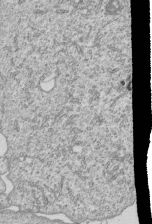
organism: Human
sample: MDA-MB-231 cells